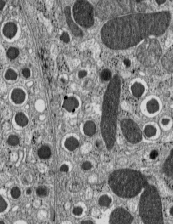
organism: C57BL Mouse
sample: Pancreatic islet